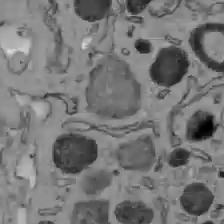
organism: C57BL Mouse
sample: Liver